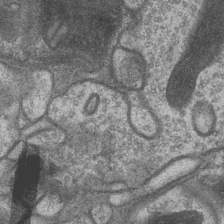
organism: Drosophila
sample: Optic medulla